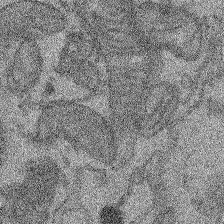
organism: Human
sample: HeLa cells